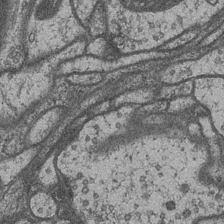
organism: Drosophila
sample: Optic medulla